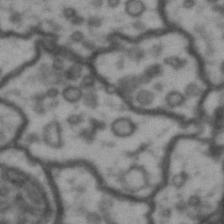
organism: Drosophila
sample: Brain